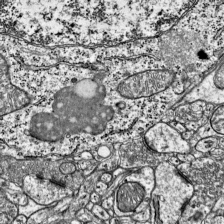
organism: Mouse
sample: Visual Cortex